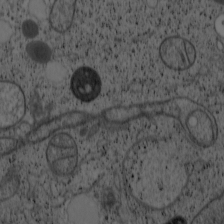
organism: African green monkey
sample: COS-7 cells